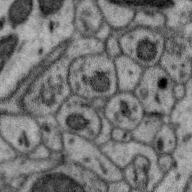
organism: Zebra finch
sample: Brain